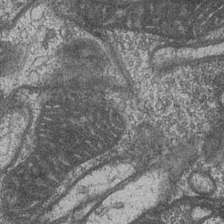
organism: Drosophila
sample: Optic medulla